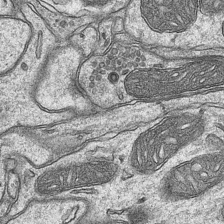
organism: Mouse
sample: CA1 Hippocampus